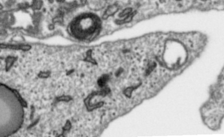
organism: Toxoplasma gondii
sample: Parasites in a vacuole inside a host cell